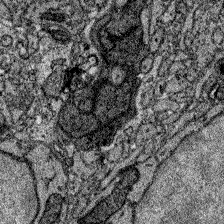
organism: Zebrafish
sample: Larval olfactory bulb